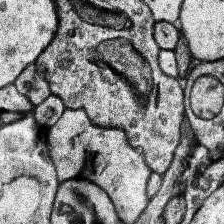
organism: Human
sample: Temporal Lobe